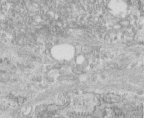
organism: Human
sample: Centriole in fibroblast cells